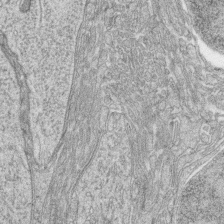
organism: Zebrafish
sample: synaptic ribbons in rod cells and cone cells